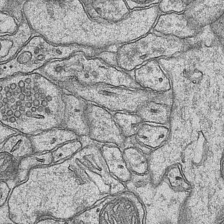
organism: Mouse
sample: CA1 Hippocampus